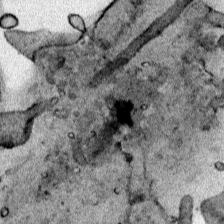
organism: Human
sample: Mitochondria in HCT116 cells